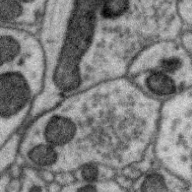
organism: Zebra finch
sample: Brain